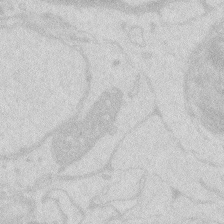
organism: Zebrafish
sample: Macrophage